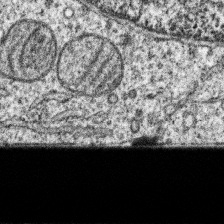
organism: Human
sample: HeLa cells